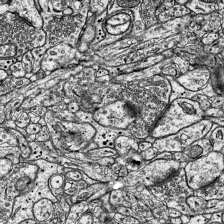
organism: Mouse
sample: Visual Cortex